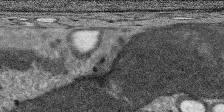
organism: Human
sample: Lung epithelial cells infected with SARS-CoV-2